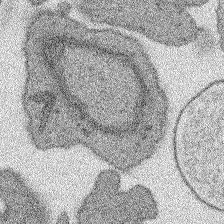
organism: Human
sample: HeLa cells